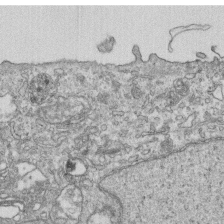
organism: Human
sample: HeLa cell HIV synapse